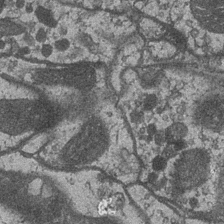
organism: Drosophila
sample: Optic medulla